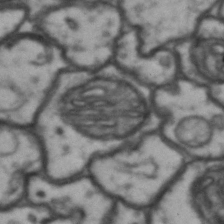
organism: Drosophila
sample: Brain